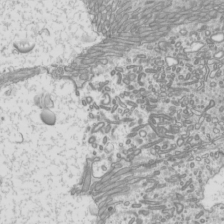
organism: Mouse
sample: Cilia; mouse epididymis